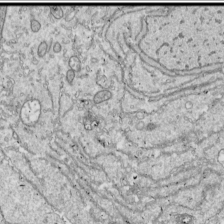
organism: Drosophila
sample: Cell division; meiosis; drosophila spermatocytes